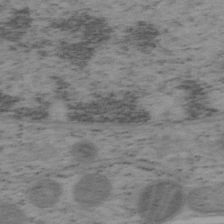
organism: Mouse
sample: OT-I killer T cells with ID8 ovarian cancer cells